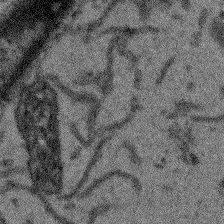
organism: Arabidopsis thaliana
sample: Root tip